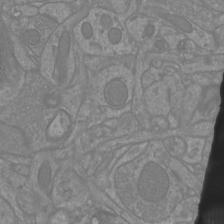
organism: Mouse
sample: Cortical neurons